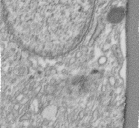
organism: Human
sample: Centriole in fibroblast cells